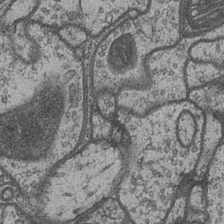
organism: Drosophila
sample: Optic medulla